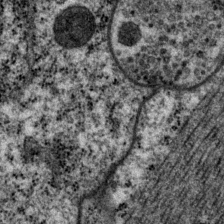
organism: P. pacificus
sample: Pharynx